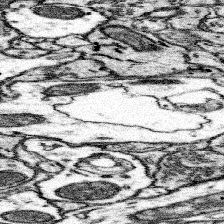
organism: Mouse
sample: Somatosensory cortex neuropil